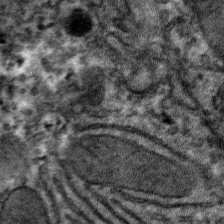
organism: Mouse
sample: Mouse hepatocytes